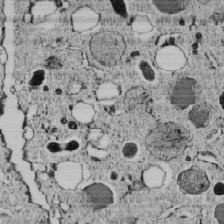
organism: C. elegans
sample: C. elegans embryo early stage